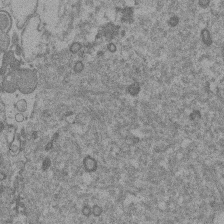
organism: Mouse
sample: Dividing mouse embryo 1 cell stage